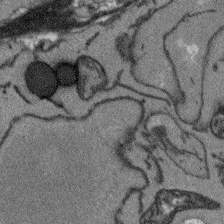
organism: Arabidopsis thaliana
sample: Root tip